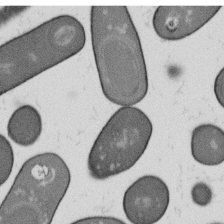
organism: B. subtilis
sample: Bacterial spore